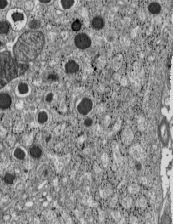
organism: C57BL Mouse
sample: Pancreatic islet